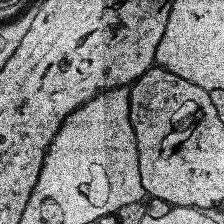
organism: Human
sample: Temporal Lobe